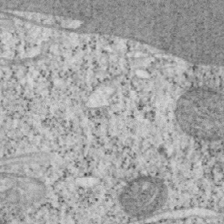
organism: Mouse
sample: OT-I killer T cells with ID8 ovarian cancer cells